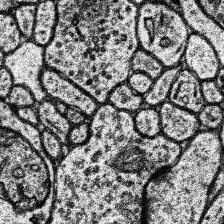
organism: Human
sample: Temporal Lobe